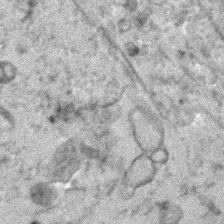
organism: Human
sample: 1205lu cells